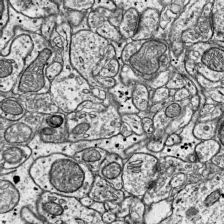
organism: Mouse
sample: Visual Cortex